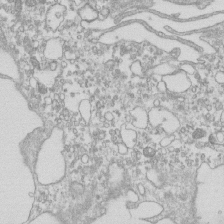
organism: Mouse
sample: Macrophages